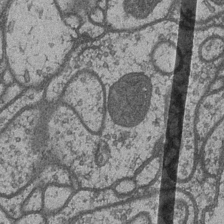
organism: Drosophila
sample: Optic medulla